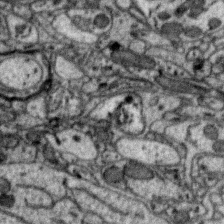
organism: Zebra finch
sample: Brain